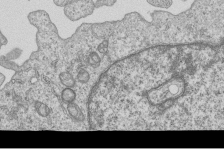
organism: Human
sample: MDA-MB-231 cells